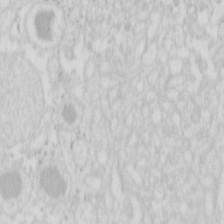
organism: Mouse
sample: Pancreas